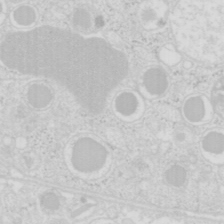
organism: Mouse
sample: Pancreas